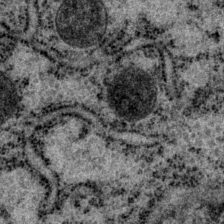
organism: P. pacificus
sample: Pharynx